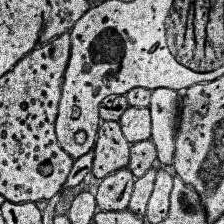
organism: Human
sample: Temporal Lobe